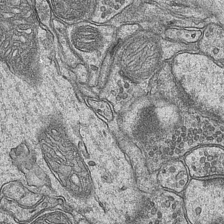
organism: Mouse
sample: CA1 Hippocampus